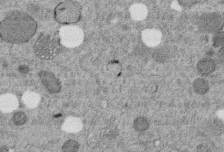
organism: C. elegans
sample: C. elegans embryo early stage